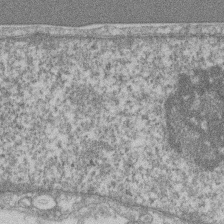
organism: Mouse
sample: T cell stromal cell synapse